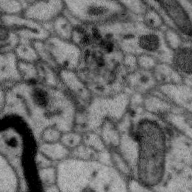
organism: Zebra finch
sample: Brain